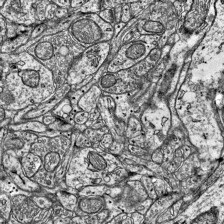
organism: Mouse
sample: Visual Cortex